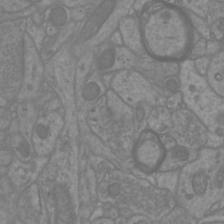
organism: Mouse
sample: Cortical neurons